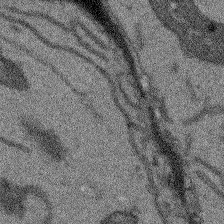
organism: Arabidopsis thaliana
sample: Root tip